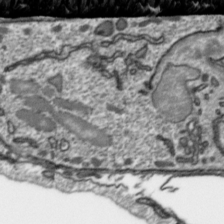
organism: Toxoplasma gondii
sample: Parasites in a vacuole inside a host cell